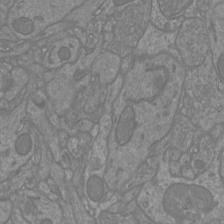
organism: Mouse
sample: Cortical neurons